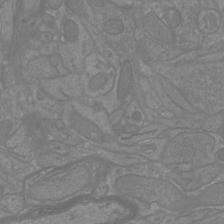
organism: Mouse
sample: Cortical neurons